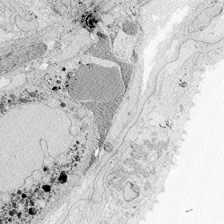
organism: Zebrafish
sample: Whole-Brain